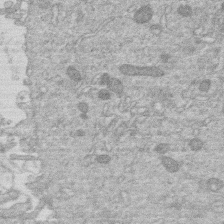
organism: Human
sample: Macrophage cells